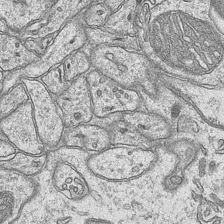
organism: Mouse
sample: CA1 Hippocampus